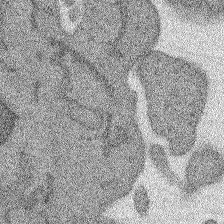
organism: Human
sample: HeLa cells